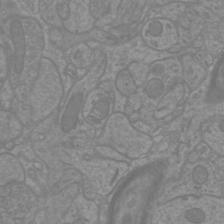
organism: Mouse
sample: Cortical neurons